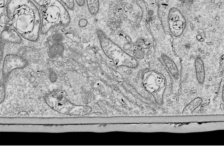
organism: Drosophila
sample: Cell division; meiosis; drosophila spermatocytes